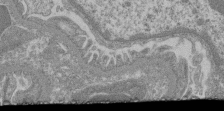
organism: Mouse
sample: Glomerulus